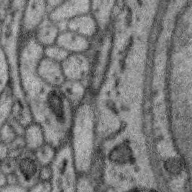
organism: Zebra finch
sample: Brain